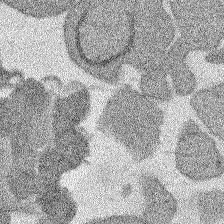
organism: Human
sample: HeLa cells